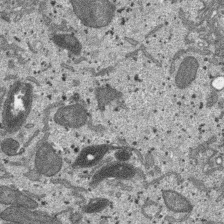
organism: Human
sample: Lung epithelial cells infected with SARS-CoV-2